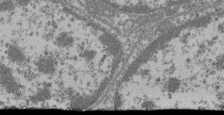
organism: Mouse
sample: Glomerulus